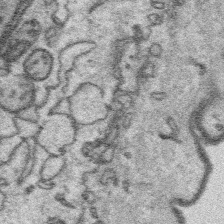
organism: Platynereis dumerilii